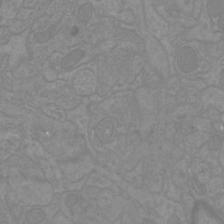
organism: Mouse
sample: Cortical neurons